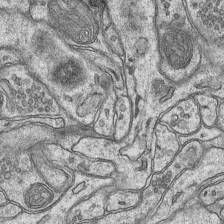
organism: Mouse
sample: CA1 Hippocampus